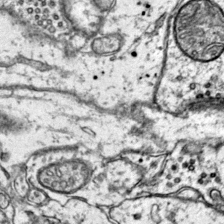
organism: Mouse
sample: Primary visual cortex